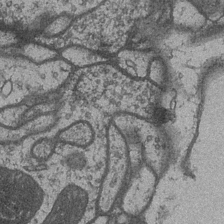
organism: Drosophila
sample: Optic medulla